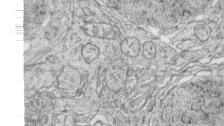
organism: Zebrafish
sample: synaptic ribbons in rod cells and cone cells